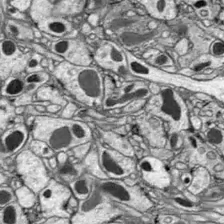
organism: Drosophila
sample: Optic lobe